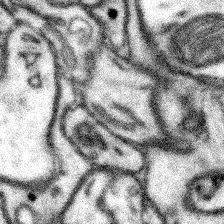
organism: Mouse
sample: Somatosensory cortex neuropil